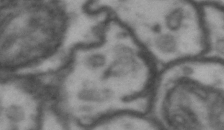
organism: Drosophila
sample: Brain